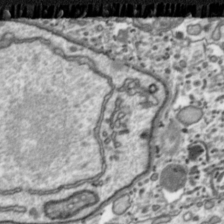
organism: Toxoplasma gondii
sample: Parasites in a vacuole inside a host cell